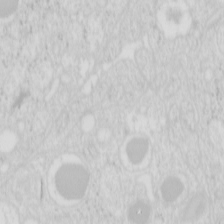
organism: Mouse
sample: Pancreas